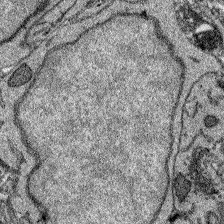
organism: Zebrafish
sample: Larval olfactory bulb